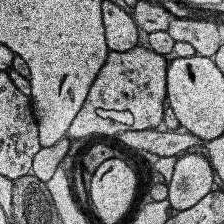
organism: Human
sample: Temporal Lobe